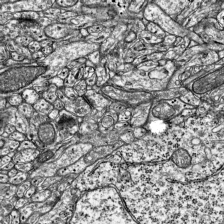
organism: Mouse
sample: Visual Cortex